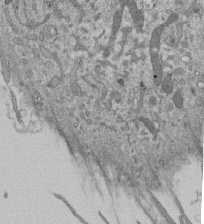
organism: Mouse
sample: ED-1 cell nuclei; centrioles